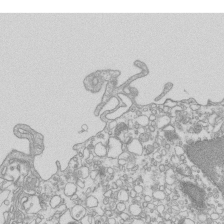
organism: Mouse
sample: Macrophages